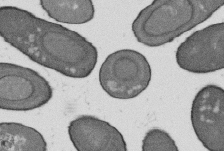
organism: B. subtilis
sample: Bacterial spore